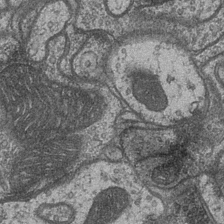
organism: Drosophila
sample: Optic medulla